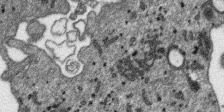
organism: Human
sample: Lung epithelial cells infected with SARS-CoV-2